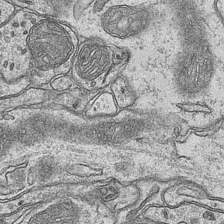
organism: Mouse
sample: CA1 Hippocampus